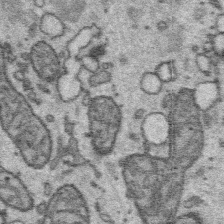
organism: Platynereis dumerilii